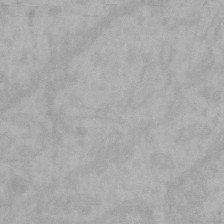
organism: Mouse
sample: Choroid plexus